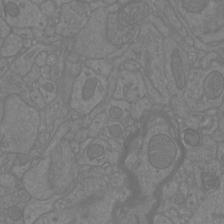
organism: Mouse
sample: Cortical neurons